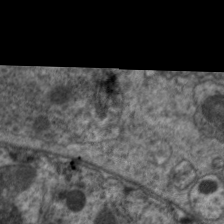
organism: C. elegans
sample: Pharynx